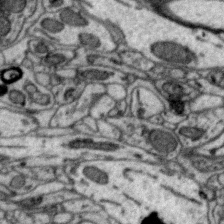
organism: Zebra finch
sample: Brain